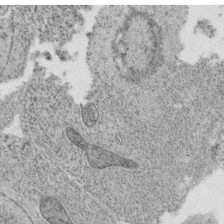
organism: C. elegans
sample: C. elegans oocyte; sperm cells